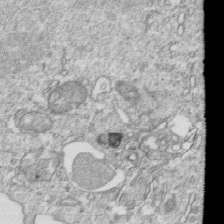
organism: Mouse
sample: Activated OT-1 CD8+ T cells